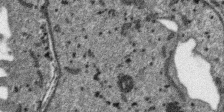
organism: Human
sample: Lung epithelial cells infected with SARS-CoV-2